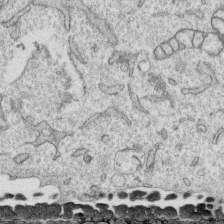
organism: Human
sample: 1205lu cells